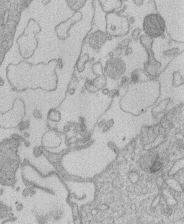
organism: Human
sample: Macrophage cells